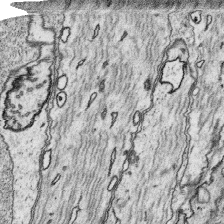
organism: Platynereis dumerilii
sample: Parapodia